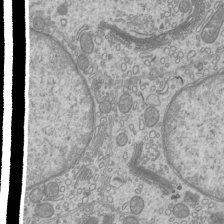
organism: Mouse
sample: Cilia; mouse epididymis